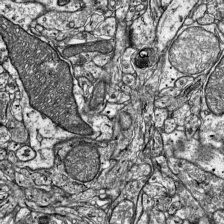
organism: Mouse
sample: Visual Cortex